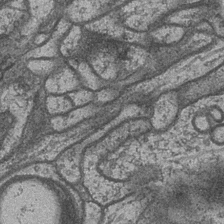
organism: Drosophila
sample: Optic medulla